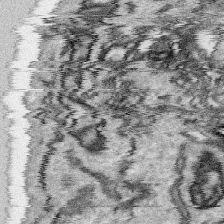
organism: Human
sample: HeLa cells